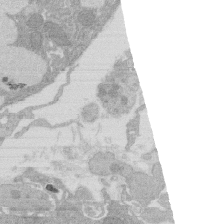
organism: Rat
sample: Salivary granule